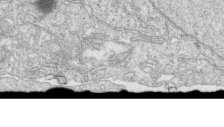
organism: Human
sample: HeLa cell HIV synapse